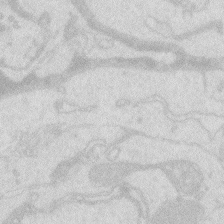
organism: Zebrafish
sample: Macrophage